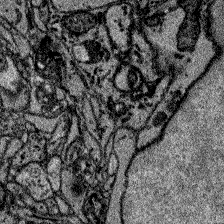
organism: Zebrafish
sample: Larval olfactory bulb